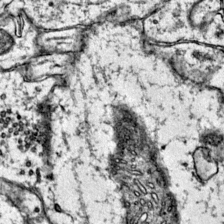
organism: Mouse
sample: Primary visual cortex